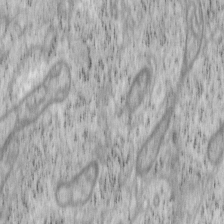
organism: Human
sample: HeLa cells